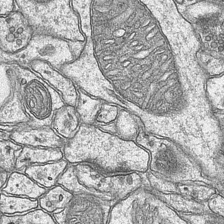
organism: Mouse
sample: CA1 Hippocampus